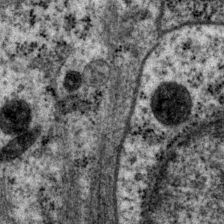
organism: P. pacificus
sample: Pharynx